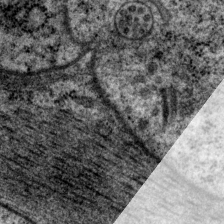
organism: P. pacificus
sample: Pharynx